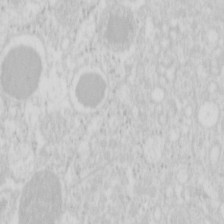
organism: Mouse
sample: Pancreas